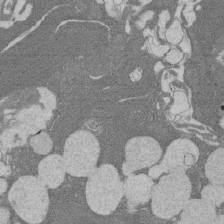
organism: Rat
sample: Salivary granule